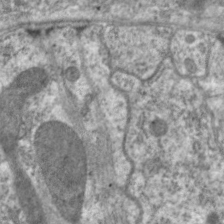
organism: C. elegans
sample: Pharynx